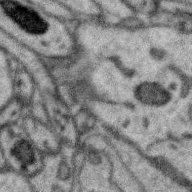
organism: Zebra finch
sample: Brain